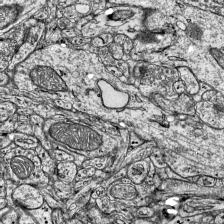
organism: Mouse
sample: Visual Cortex